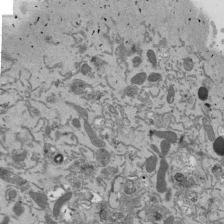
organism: Mouse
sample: ED-1 cell nuclei; centrioles